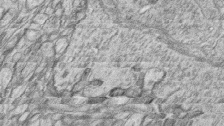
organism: Zebrafish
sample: synaptic ribbons in rod cells and cone cells